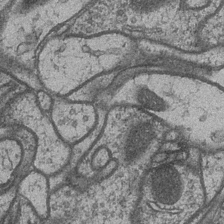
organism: Drosophila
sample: Optic medulla